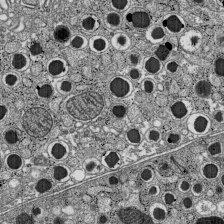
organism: C57BL Mouse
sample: Pancreatic islet